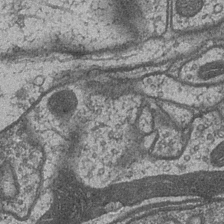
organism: Drosophila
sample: Optic medulla